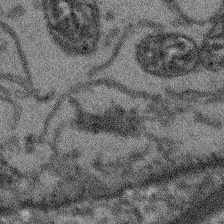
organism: Arabidopsis thaliana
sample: Root tip